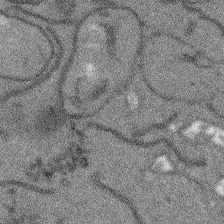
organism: Arabidopsis thaliana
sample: Root tip